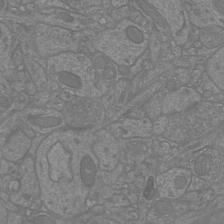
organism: Mouse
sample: Cortical neurons